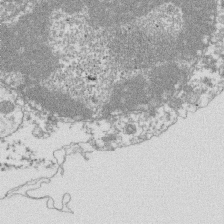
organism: Human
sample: HeLa cell HIV synapse